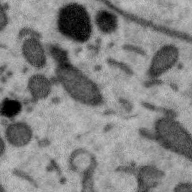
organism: Zebra finch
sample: Brain